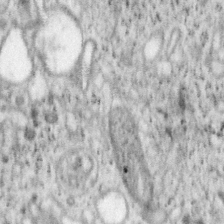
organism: Mouse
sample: OT-I killer T cells with ID8 ovarian cancer cells